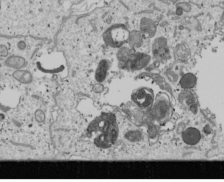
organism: Human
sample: Mitochondria in U2OS cells